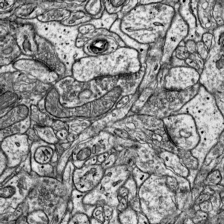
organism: Mouse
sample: Visual Cortex